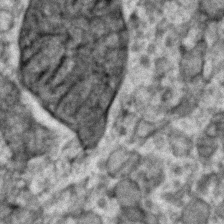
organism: Zebrafish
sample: Zebrafish embryo